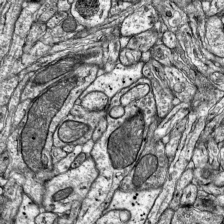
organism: Mouse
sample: Visual Cortex